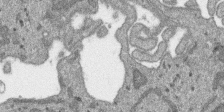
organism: Human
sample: Lung epithelial cells infected with SARS-CoV-2